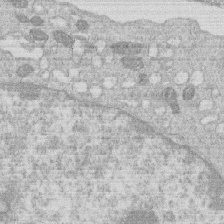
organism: Human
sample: Macrophage cells